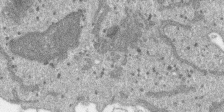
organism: Human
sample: Lung epithelial cells infected with SARS-CoV-2